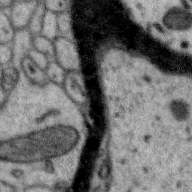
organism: Zebra finch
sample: Brain